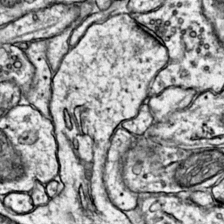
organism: Mouse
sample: Primary visual cortex